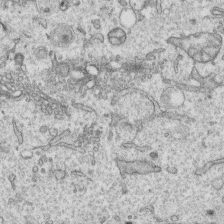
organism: Human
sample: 1205lu cells